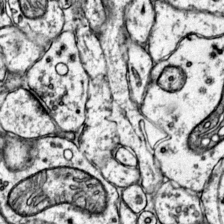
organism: Mouse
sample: Primary visual cortex